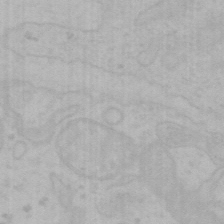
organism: Mouse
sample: Choroid plexus